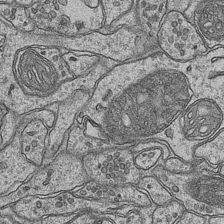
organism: Mouse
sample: CA1 Hippocampus